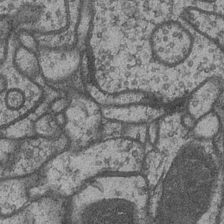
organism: Drosophila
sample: Optic medulla